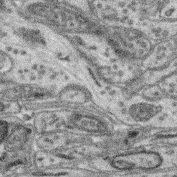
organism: Mouse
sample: Retina